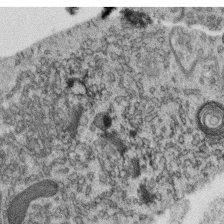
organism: C. elegans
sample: C. elegans oocyte; sperm cells